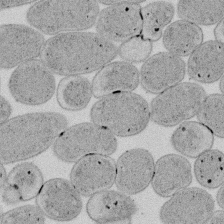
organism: E. coli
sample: Bacterial nucleoid